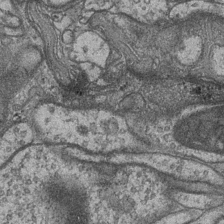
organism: Drosophila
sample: Optic medulla